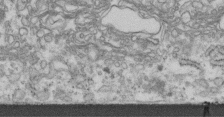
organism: Human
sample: Centriole in fibroblast cells